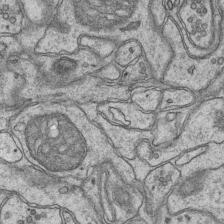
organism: Mouse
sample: CA1 Hippocampus